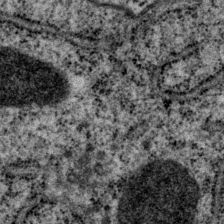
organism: P. pacificus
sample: Pharynx